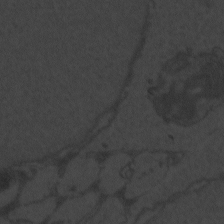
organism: Zebrafish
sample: Macrophage infected with Toxoplasma gondii